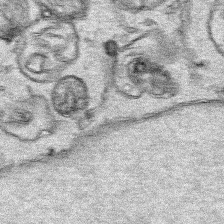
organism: Human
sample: Mitochondria in HCT116 cells